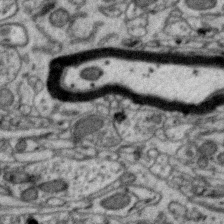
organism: Zebra finch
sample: Brain